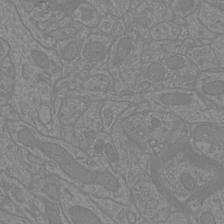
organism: Mouse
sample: Cortical neurons